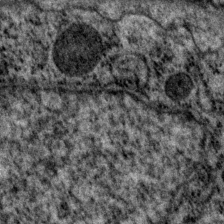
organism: P. pacificus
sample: Pharynx